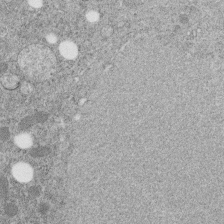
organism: C. elegans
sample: C. elegans embryo early stage